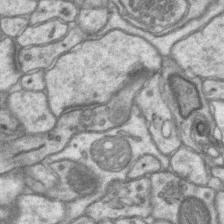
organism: Mouse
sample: CA1 Hippocampus